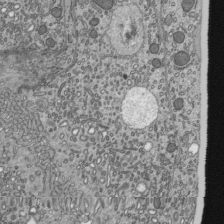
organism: Mouse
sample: Mouse epididymis efferent ductule cilia